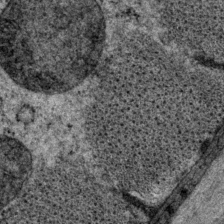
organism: P. pacificus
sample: Pharynx